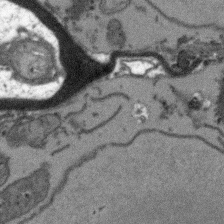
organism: Arabidopsis thaliana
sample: Root tip